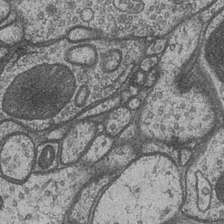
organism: Drosophila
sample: Optic medulla